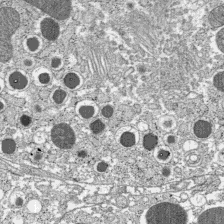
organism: C57BL Mouse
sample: Pancreatic islet